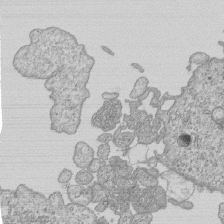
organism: Human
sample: MDA-MB-231 cells